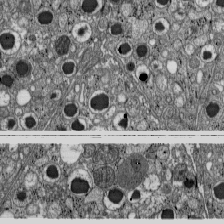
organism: C57BL Mouse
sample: Pancreatic islet